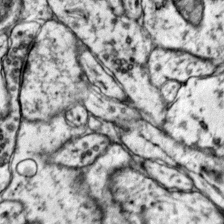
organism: Mouse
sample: Primary visual cortex